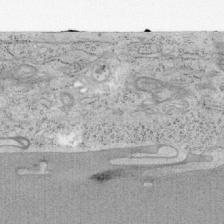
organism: Human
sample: HeLa cells